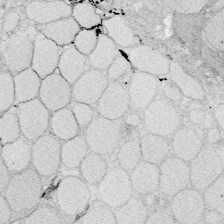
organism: Zebrafish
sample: Whole-Brain